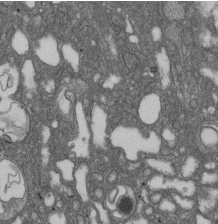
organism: Drosophila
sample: Nephrocyte